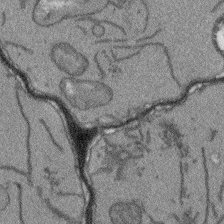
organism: Arabidopsis thaliana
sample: Root tip